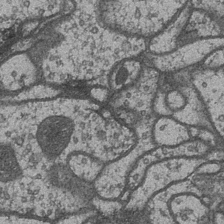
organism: Drosophila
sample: Optic medulla